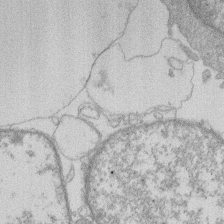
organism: Human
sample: Macrophage cells